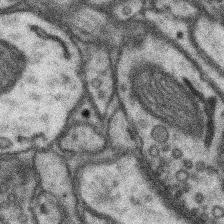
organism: Mouse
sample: Somatosensory cortex neuropil